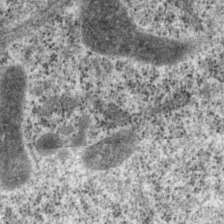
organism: P. pacificus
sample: Pharynx